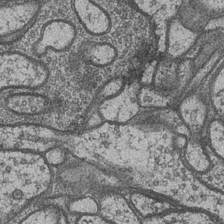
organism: Drosophila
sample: Optic medulla